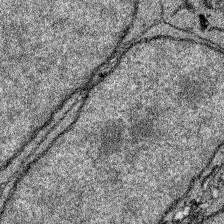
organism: Zebrafish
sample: Larval olfactory bulb